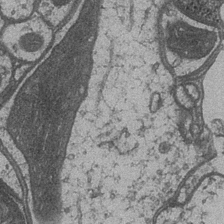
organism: Drosophila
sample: Optic medulla